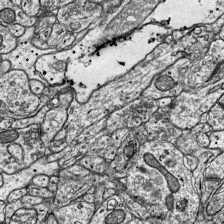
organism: Mouse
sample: Visual Cortex